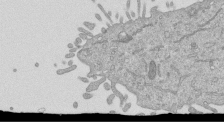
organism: Mouse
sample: ED-1 cell nuclei; centrioles